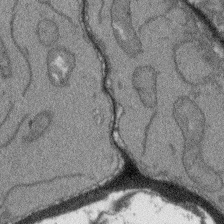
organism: Arabidopsis thaliana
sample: Root tip